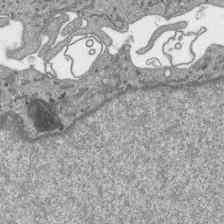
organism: Human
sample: Lung epithelial cells infected with SARS-CoV-2